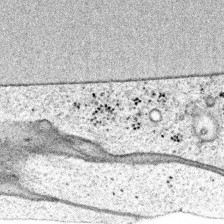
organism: Human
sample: HeLa cells